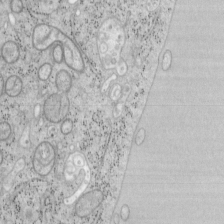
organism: Mouse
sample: OT-I killer T cells with ID8 ovarian cancer cells